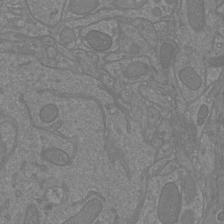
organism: Mouse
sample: Cortical neurons